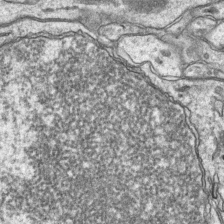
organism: Mouse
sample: CA1 Hippocampus